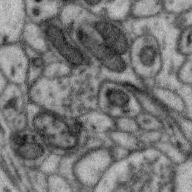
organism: Zebra finch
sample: Brain